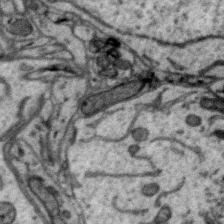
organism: Zebra finch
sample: Brain